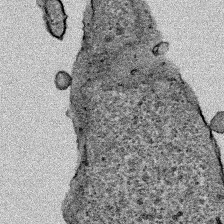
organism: Human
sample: Mitochondria in HCT116 cells